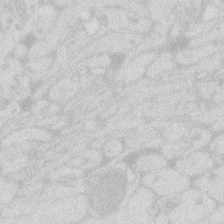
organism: Zebrafish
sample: Macrophage